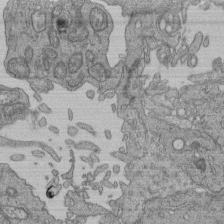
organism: Human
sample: Retinal organoid Rod and Cone cells